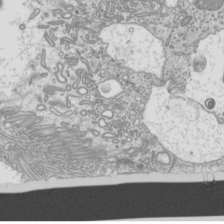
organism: Mouse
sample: Cilia; mouse epididymis